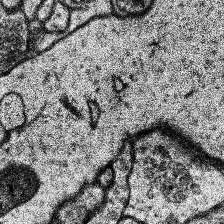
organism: Human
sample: Temporal Lobe